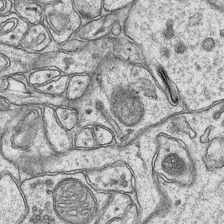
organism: Mouse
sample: CA1 Hippocampus